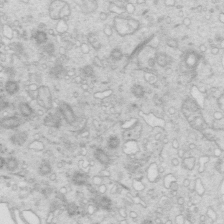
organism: Mouse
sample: Multiciliated cells